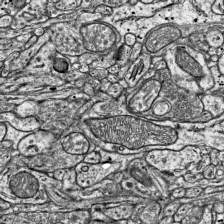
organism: Mouse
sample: Visual Cortex